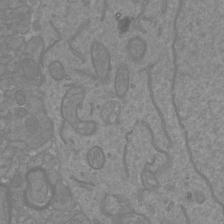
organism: Mouse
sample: Cortical neurons